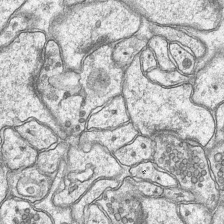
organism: Mouse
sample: CA1 Hippocampus